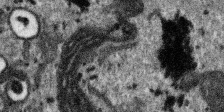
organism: Human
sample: Lung epithelial cells infected with SARS-CoV-2